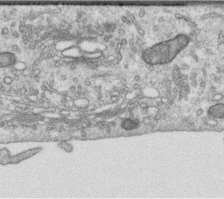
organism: Human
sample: Centriole in RPE cells